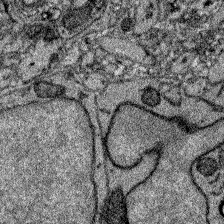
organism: Zebrafish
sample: Larval olfactory bulb